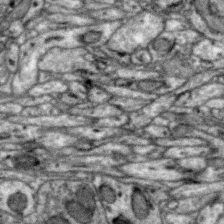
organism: Zebra finch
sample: Brain